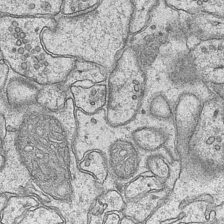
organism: Mouse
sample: CA1 Hippocampus